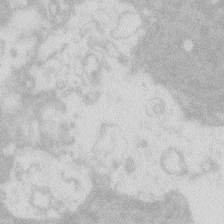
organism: Zebrafish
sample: Macrophage